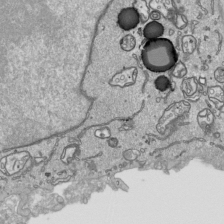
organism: Human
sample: Mitochondria in HCT116 cells